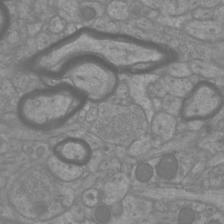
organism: Mouse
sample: Cortical neurons